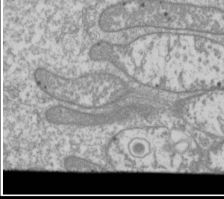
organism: Drosophila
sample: Cell division; meiosis; drosophila spermatocytes